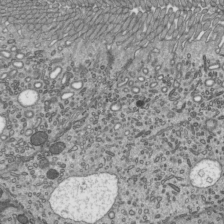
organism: Mouse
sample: Mouse epididymis efferent ductule cilia